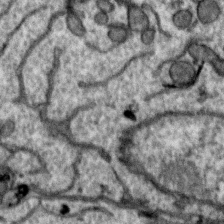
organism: Zebra finch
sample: Brain